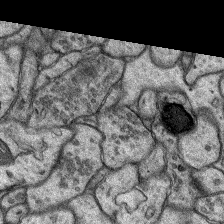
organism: Rat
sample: Hippocampus